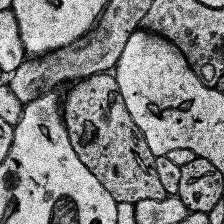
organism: Human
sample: Temporal Lobe